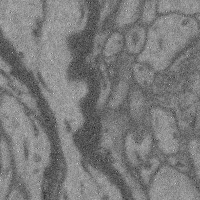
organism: Mouse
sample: Cerebral cortex